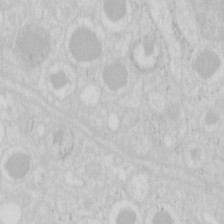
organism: Mouse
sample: Pancreas